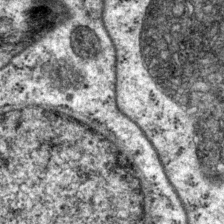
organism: P. pacificus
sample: Pharynx